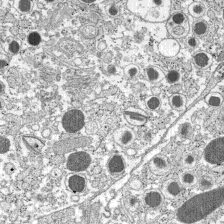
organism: C57BL Mouse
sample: Pancreatic islet